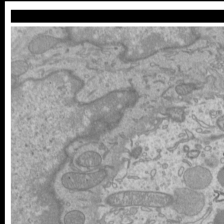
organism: Mouse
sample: Cilia; mouse epididymis